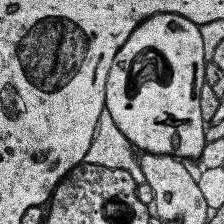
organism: Human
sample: Temporal Lobe